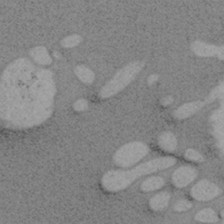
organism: Mouse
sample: OT-I killer T cells with ID8 ovarian cancer cells